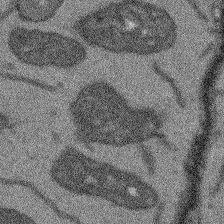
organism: Arabidopsis thaliana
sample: Root tip